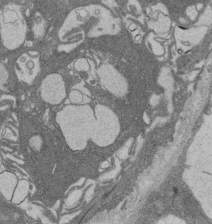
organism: Rat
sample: Salivary granule